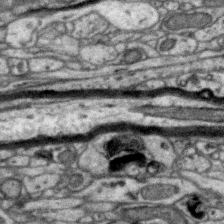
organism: Zebra finch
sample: Brain